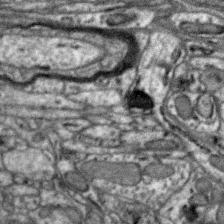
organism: Zebra finch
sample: Brain